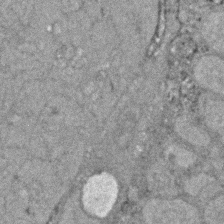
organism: Zebrafish